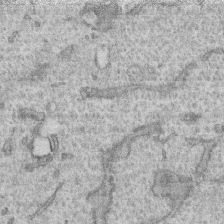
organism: Human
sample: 1205lu cells